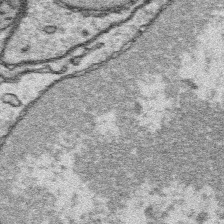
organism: Platynereis dumerilii